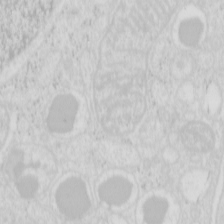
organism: Mouse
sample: Pancreas